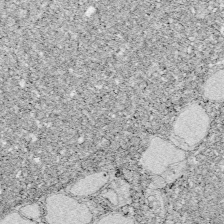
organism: Zebrafish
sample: Whole-Brain